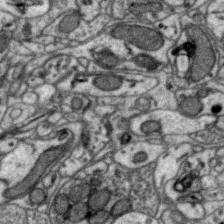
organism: Zebra finch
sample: Brain